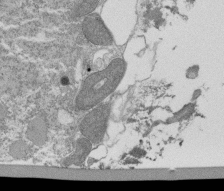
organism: Tetrahymena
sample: Cilia in tetrahymena